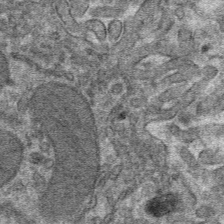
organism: Mouse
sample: Mouse hepatocytes